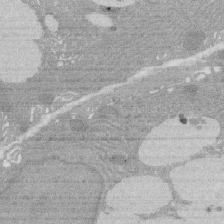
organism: Rat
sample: Salivary granule